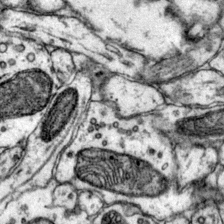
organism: Mouse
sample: Primary visual cortex